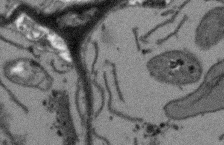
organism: Arabidopsis thaliana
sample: Root tip